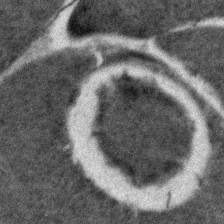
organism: Zebrafish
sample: Zebrafish embryo